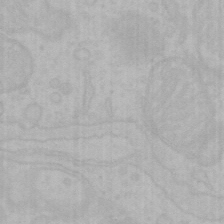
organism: Mouse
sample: Choroid plexus